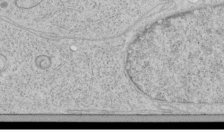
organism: Human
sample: Mitochondria in HCT116 cells